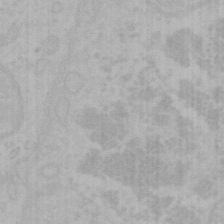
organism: Mouse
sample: Choroid plexus